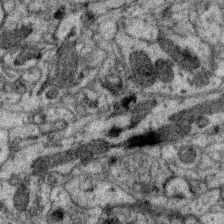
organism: Zebra finch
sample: Brain